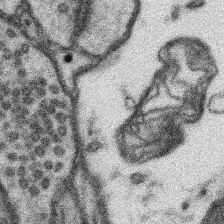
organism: Mouse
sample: Somatosensory cortex neuropil